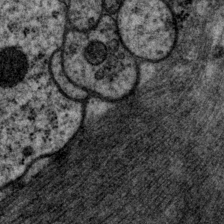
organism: P. pacificus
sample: Pharynx